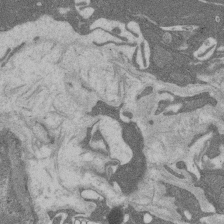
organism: Rat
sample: Salivary granule